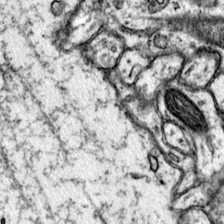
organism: Mouse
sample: Primary visual cortex